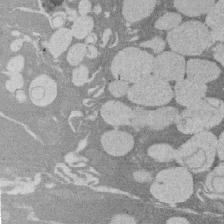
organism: Rat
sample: Salivary granule